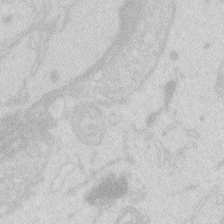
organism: Zebrafish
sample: Macrophage